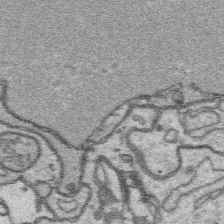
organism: Platynereis dumerilii